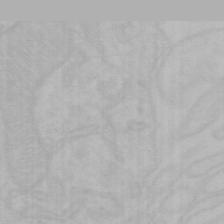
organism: Mouse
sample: Choroid plexus